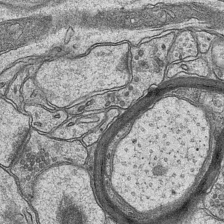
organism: Mouse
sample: CA1 Hippocampus